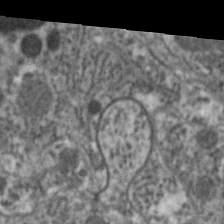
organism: C. elegans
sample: Pharynx